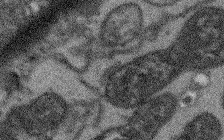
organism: Arabidopsis thaliana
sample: Root tip